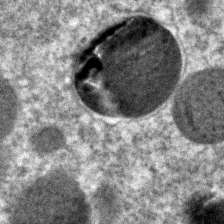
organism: C. elegans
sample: C. elegans embryo